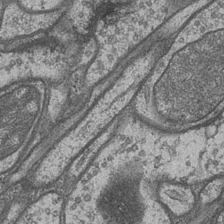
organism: Drosophila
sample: Optic medulla